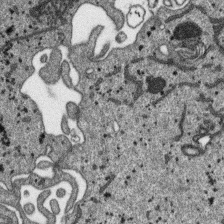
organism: Human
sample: Lung epithelial cells infected with SARS-CoV-2